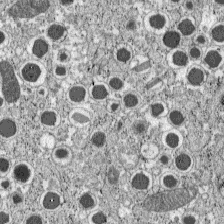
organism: C57BL Mouse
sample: Pancreatic islet